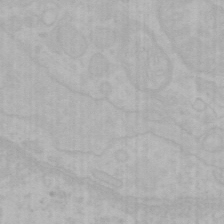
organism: Mouse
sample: Choroid plexus